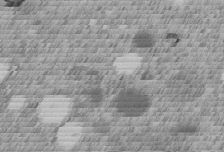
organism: C. elegans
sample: C. elegans embryo early stage